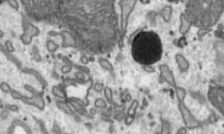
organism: Toxoplasma gondii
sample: Parasites in a vacuole inside a host cell